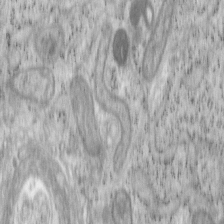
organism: Human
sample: HeLa cells